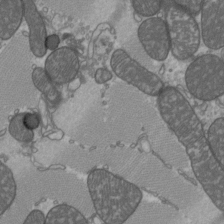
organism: C57BL Mouse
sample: Heart